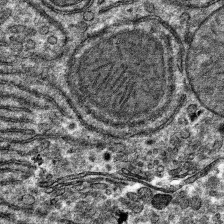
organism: Mouse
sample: Mouse hepatocytes